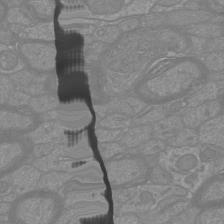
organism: Mouse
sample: Cortical neurons